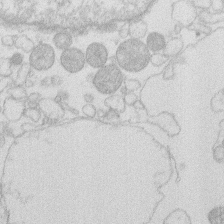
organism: Human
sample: Macrophage cells